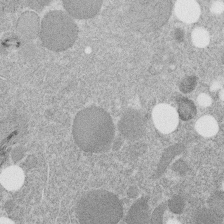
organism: C. elegans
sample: C. elegans embryo early stage